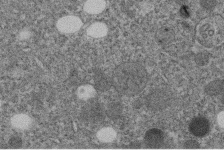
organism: C. elegans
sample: C. elegans embryo early stage